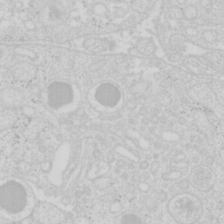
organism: Mouse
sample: Pancreas